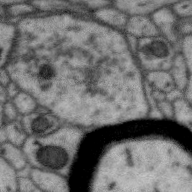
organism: Zebra finch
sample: Brain